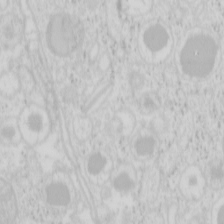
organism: Mouse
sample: Pancreas